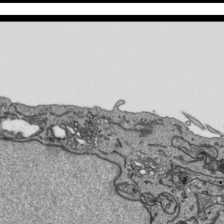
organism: Human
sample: Mitochondria in HCT116 cells